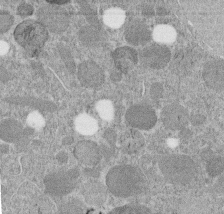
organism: C. elegans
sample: C. elegans embryo early stage